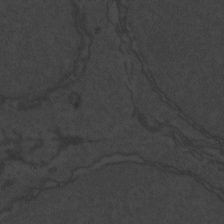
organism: Zebrafish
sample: Macrophage infected with Toxoplasma gondii